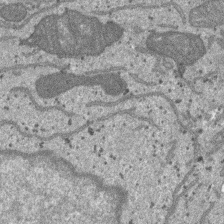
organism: Human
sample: Lung epithelial cells infected with SARS-CoV-2